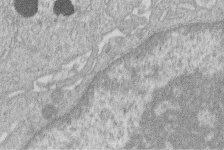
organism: Human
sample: Macrophage cells